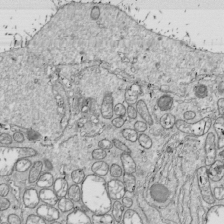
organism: Drosophila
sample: Cell division; meiosis; drosophila spermatocytes